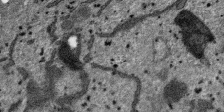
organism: Human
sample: Lung epithelial cells, uninfected (mock) control